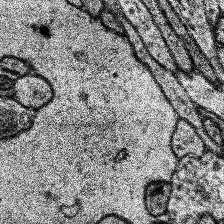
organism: Human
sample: Temporal Lobe